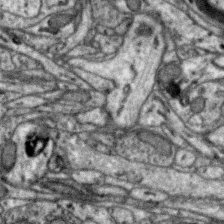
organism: Zebra finch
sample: Brain